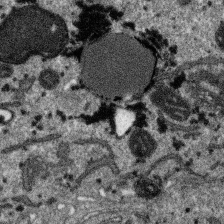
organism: Human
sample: Lung epithelial cells infected with SARS-CoV-2